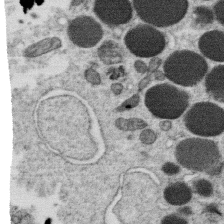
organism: C. elegans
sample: C. elegans oocyte; sperm cells